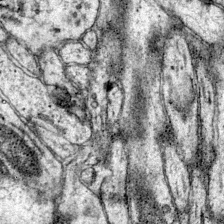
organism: Mouse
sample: Primary visual cortex